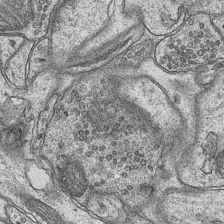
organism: Mouse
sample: CA1 Hippocampus